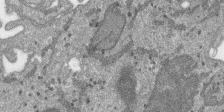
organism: Human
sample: Lung epithelial cells infected with SARS-CoV-2